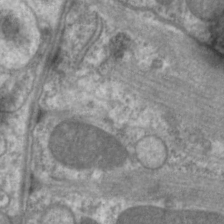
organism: C. elegans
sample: Pharynx